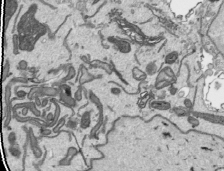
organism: Human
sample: Mitochondria in HCT116 cells